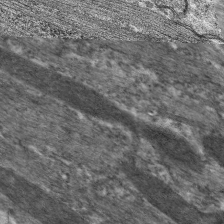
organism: C. elegans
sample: Pharynx